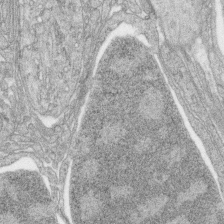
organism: Zebrafish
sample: synaptic ribbons in rod cells and cone cells